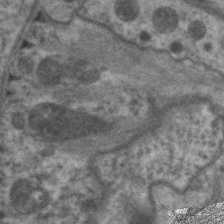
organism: C. elegans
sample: Pharynx